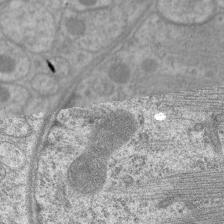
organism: C. elegans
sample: Pharynx